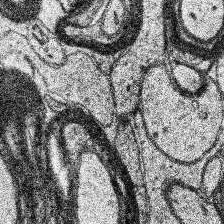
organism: Human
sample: Temporal Lobe